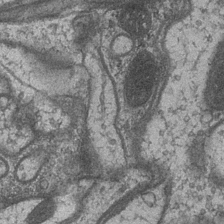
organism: Drosophila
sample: Optic medulla